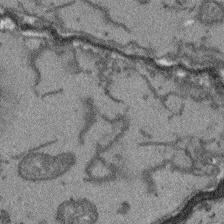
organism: Arabidopsis thaliana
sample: Root tip